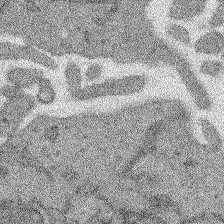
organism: Human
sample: HeLa cells